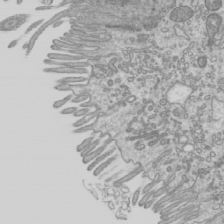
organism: Mouse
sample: Cilia; mouse epididymis